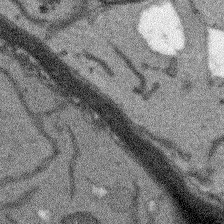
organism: Arabidopsis thaliana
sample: Root tip